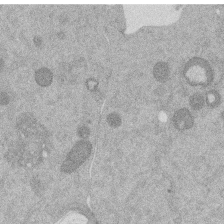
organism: Mouse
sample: Dividing mouse embryo 1 cell stage